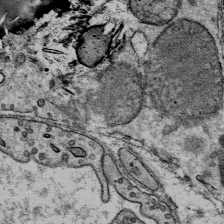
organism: Mouse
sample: Mouse Salivary gland